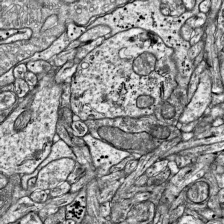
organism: Mouse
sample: Visual Cortex